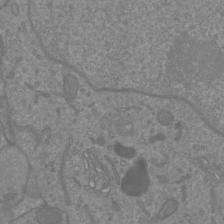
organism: Mouse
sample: Cortical neurons